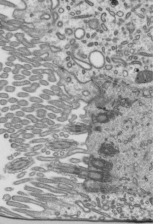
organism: Mouse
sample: Mouse epididymis efferent ductule cilia